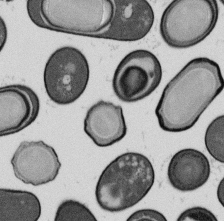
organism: B. subtilis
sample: Bacterial spore